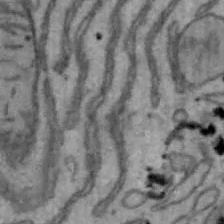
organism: Mouse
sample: Liver